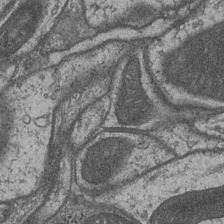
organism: Drosophila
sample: Optic medulla